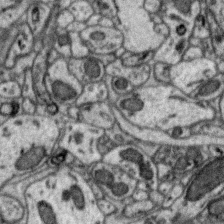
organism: Zebra finch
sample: Brain